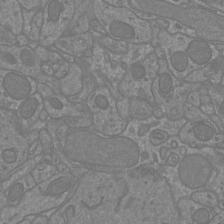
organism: Mouse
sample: Cortical neurons